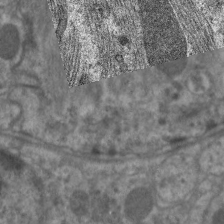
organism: C. elegans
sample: Pharynx